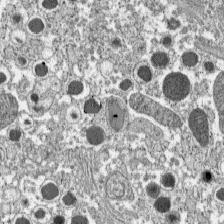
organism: C57BL Mouse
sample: Pancreatic islet